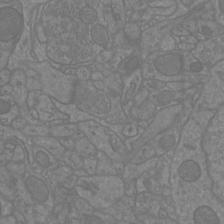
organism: Mouse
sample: Cortical neurons